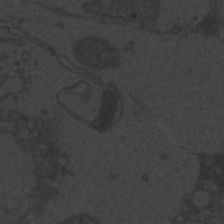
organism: Zebrafish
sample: Macrophage infected with Toxoplasma gondii